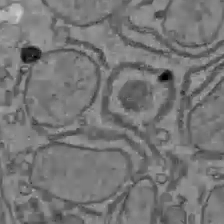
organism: C57BL Mouse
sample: Liver